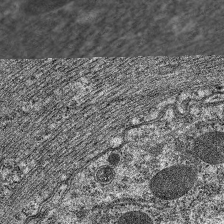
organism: C. elegans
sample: Pharynx